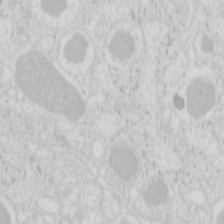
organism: Mouse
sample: Pancreas